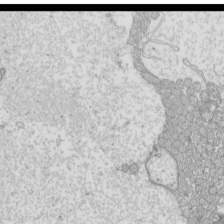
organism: Mouse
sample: Cilia; mouse epididymis